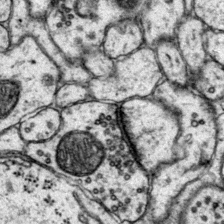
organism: Mouse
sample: Primary visual cortex